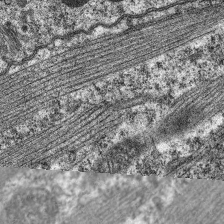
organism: C. elegans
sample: Pharynx